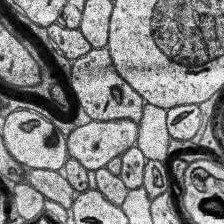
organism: Human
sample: Temporal Lobe